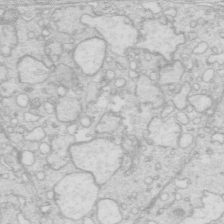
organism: Mouse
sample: Multiciliated cells